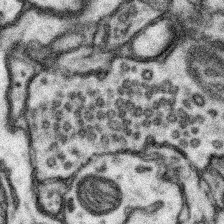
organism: Mouse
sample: Somatosensory cortex neuropil